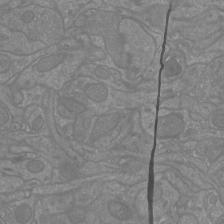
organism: Mouse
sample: Cortical neurons